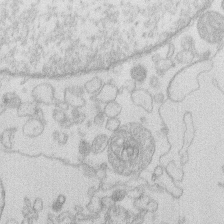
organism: Human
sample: Macrophage cells